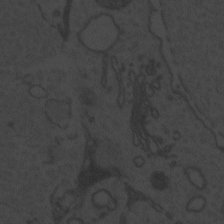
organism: Zebrafish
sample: Macrophage infected with Toxoplasma gondii